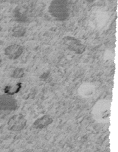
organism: C. elegans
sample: C. elegans embryo early stage